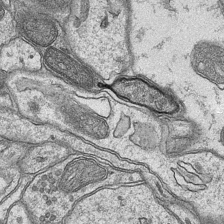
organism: Mouse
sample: CA1 Hippocampus